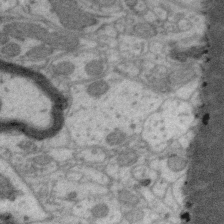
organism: Zebra finch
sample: Brain